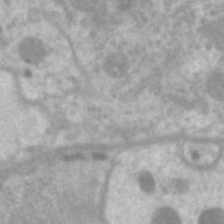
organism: C. elegans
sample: Pharynx